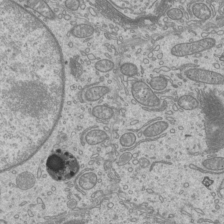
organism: Mouse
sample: Cilia; mouse epididymis